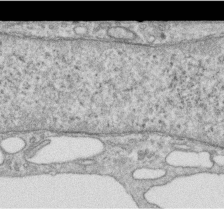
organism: Human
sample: Centriole in RPE cells